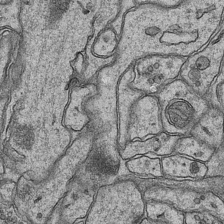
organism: Mouse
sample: CA1 Hippocampus